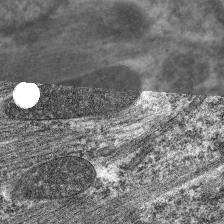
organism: C. elegans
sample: Pharynx